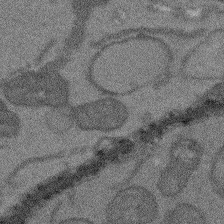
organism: Arabidopsis thaliana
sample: Root tip